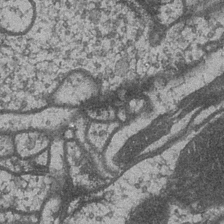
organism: Drosophila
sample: Optic medulla